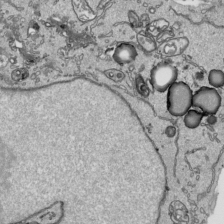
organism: Human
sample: Mitochondria in HCT116 cells